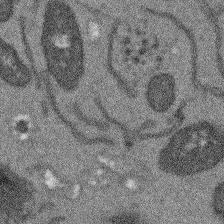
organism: Arabidopsis thaliana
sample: Root tip